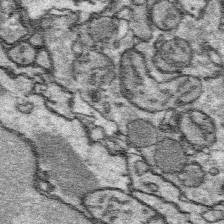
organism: Platynereis dumerilii